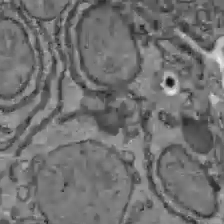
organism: C57BL Mouse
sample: Liver